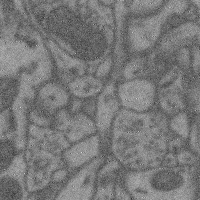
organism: Mouse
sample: Cerebral cortex